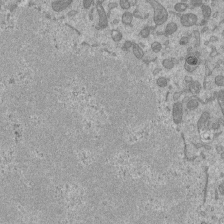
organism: Mouse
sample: ED-1 cell nuclei; centrioles